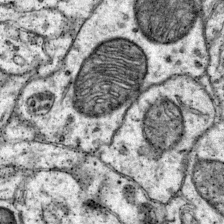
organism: Mouse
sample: Primary visual cortex